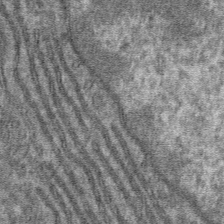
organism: Mouse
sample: Mouse hepatocytes